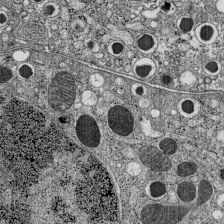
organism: C57BL Mouse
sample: Pancreatic islet